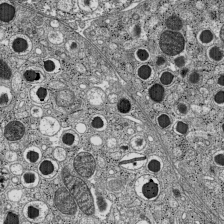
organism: C57BL Mouse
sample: Pancreatic islet